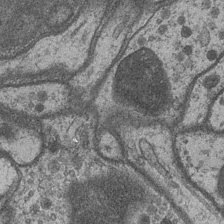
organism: Drosophila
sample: Optic medulla